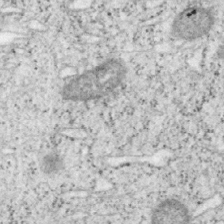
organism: Mouse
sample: OT-I killer T cells with ID8 ovarian cancer cells